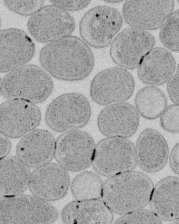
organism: E. coli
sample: Bacterial nucleoid